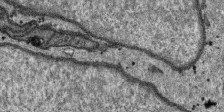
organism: Human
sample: Lung epithelial cells, uninfected (mock) control